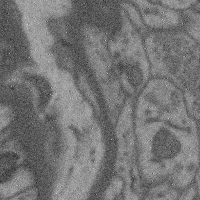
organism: Mouse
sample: Cerebral cortex